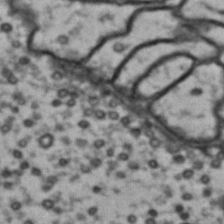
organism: Drosophila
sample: Brain